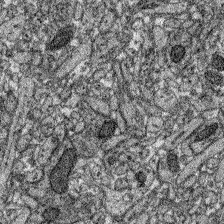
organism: Zebrafish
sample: Larval olfactory bulb